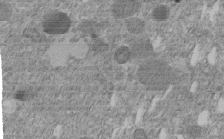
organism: C. elegans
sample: C. elegans embryo early stage